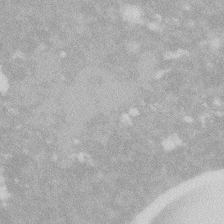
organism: Zebrafish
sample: Macrophage